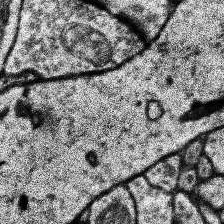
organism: Human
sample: Temporal Lobe